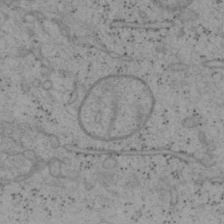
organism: Human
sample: HeLa cells